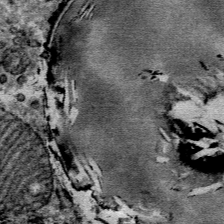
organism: Mouse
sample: Mouse Salivary gland